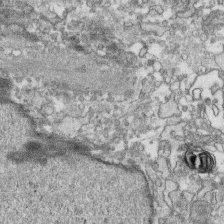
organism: Human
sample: CRL-1474